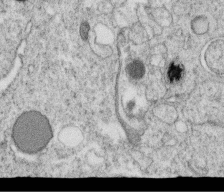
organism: C. elegans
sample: C. elegans oocyte; sperm cells